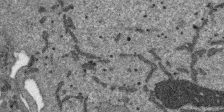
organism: Human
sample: Lung epithelial cells infected with SARS-CoV-2